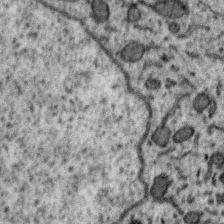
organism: Zebra finch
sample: Brain